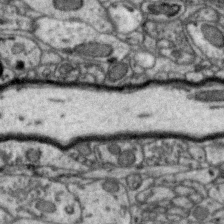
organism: Zebra finch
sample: Brain